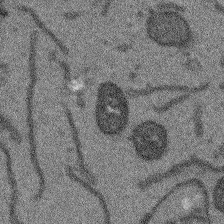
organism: Arabidopsis thaliana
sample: Root tip